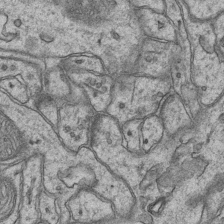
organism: Mouse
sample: CA1 Hippocampus